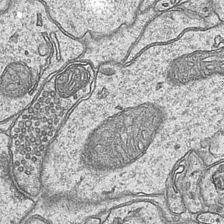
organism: Mouse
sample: CA1 Hippocampus